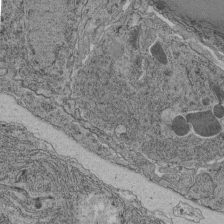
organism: C. elegans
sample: C. elegans pharynx